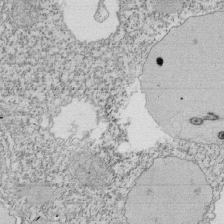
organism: Tetrahymena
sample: Cilia in tetrahymena